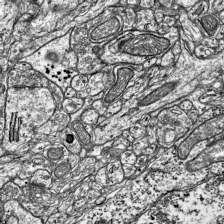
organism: Mouse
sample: Visual Cortex